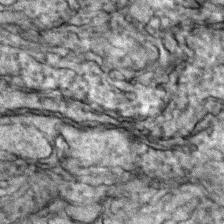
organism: Zebrafish